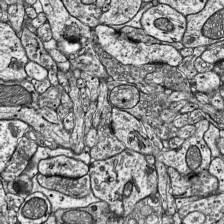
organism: Mouse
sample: Visual Cortex